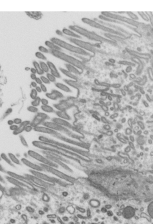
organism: Mouse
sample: Mouse epididymis efferent ductule cilia